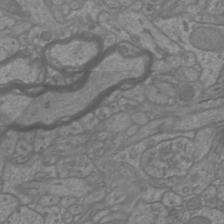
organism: Mouse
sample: Cortical neurons